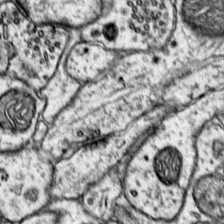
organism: Mouse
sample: Primary visual cortex